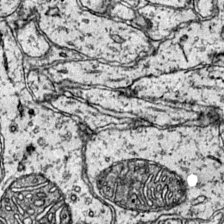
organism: Mouse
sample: Primary visual cortex